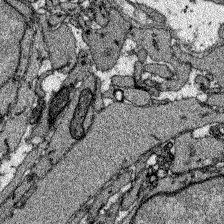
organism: Zebrafish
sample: Larval olfactory bulb